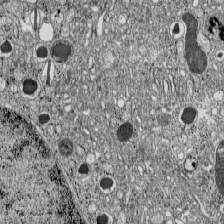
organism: C57BL Mouse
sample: Pancreatic islet